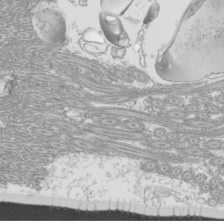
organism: Mouse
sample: Cilia; mouse epididymis